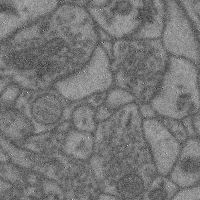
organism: Mouse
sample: Cerebral cortex